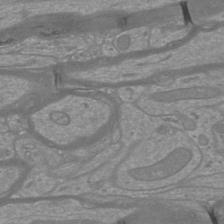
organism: Mouse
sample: Cortical neurons